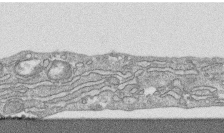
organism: Human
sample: CRL-1474